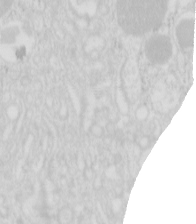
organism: Mouse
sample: Pancreas